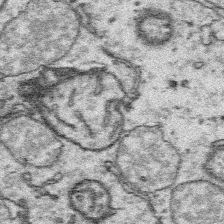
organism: Platynereis dumerilii